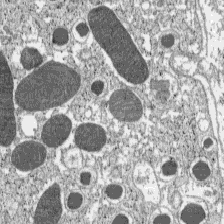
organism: C57BL Mouse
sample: Pancreatic islet